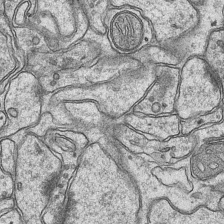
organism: Mouse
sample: CA1 Hippocampus